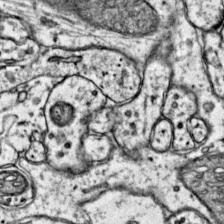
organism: Mouse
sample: Primary visual cortex